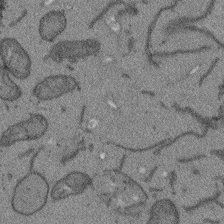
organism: Arabidopsis thaliana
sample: Root tip